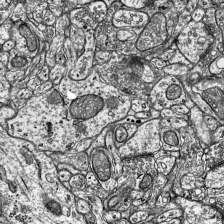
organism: Mouse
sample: Visual Cortex